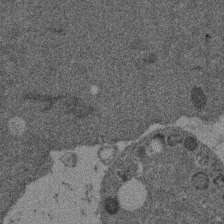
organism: Mouse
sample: Dividing mouse embryo 1 cell stage